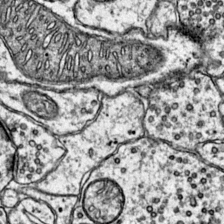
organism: Mouse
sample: Primary visual cortex